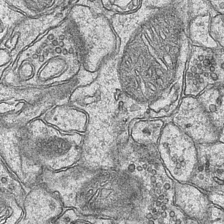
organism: Mouse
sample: CA1 Hippocampus